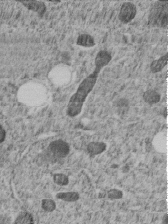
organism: C. elegans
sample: C. elegans embryo early stage